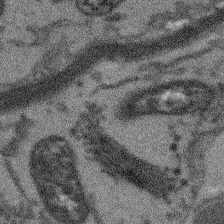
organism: Arabidopsis thaliana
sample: Root tip